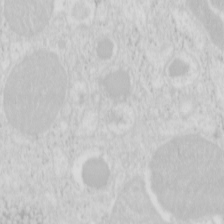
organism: Mouse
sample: Pancreas